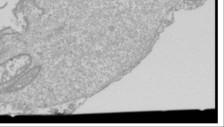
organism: Drosophila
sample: Cell division; meiosis; drosophila spermatocytes